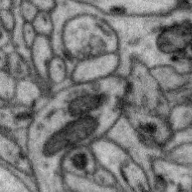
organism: Zebra finch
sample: Brain